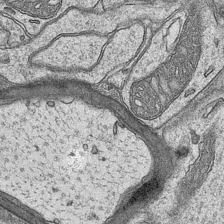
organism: Mouse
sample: CA1 Hippocampus